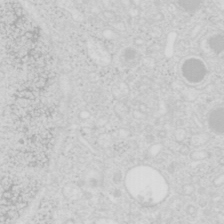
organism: Mouse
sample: Pancreas